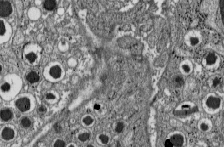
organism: C57BL Mouse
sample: Pancreatic islet